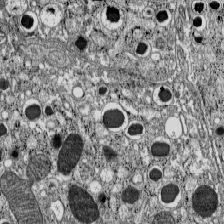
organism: C57BL Mouse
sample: Pancreatic islet